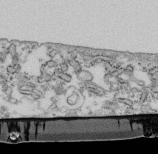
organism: Mouse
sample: Cilia; retinal pigment epithelium